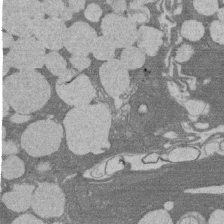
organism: Rat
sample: Salivary granule